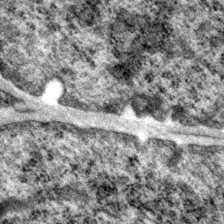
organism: P. pacificus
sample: Pharynx